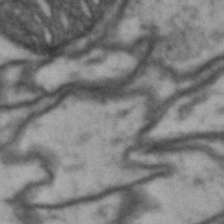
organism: Drosophila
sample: Brain